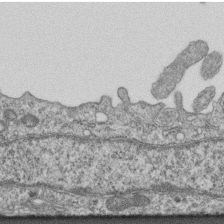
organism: Mouse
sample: Centriole in ependymal cells